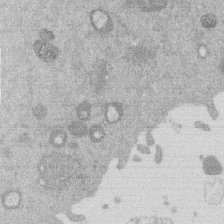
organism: Mouse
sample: Dividing mouse embryo 1 cell stage